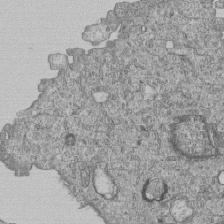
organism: Human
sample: MDA-MB-231 cells